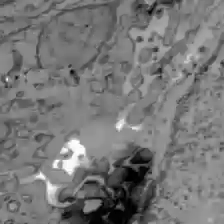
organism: C57BL Mouse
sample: Liver